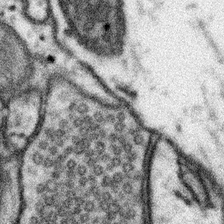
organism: Mouse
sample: Somatosensory cortex neuropil